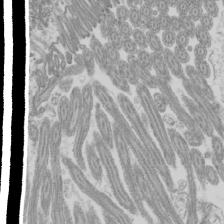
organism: Mouse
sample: Cilia; mouse epididymis